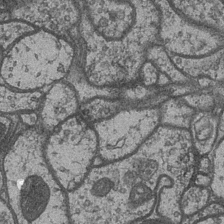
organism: Drosophila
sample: Optic medulla